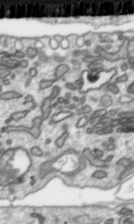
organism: Toxoplasma gondii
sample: Parasites in a vacuole inside a host cell